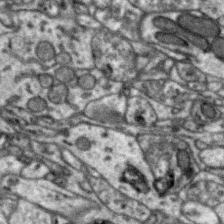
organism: Zebra finch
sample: Brain